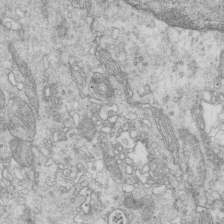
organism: Mouse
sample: Multiciliated cells